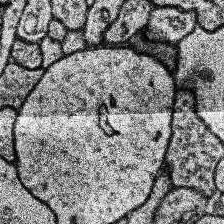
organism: Human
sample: Temporal Lobe